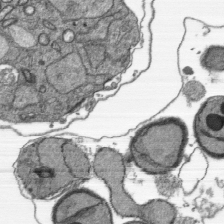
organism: Plasmodium falciparum